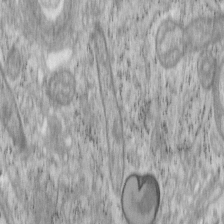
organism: Human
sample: HeLa cells